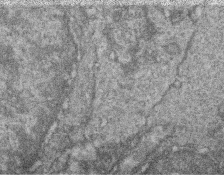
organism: Zebrafish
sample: Cilia; retinal pigment epithelium